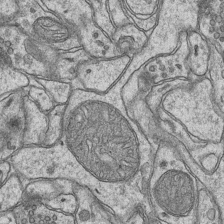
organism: Mouse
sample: CA1 Hippocampus